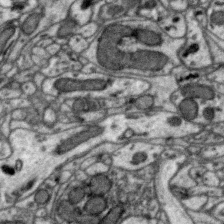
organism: Zebra finch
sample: Brain